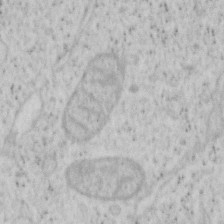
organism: Human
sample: HeLa cells